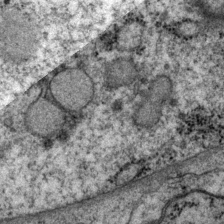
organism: P. pacificus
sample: Pharynx